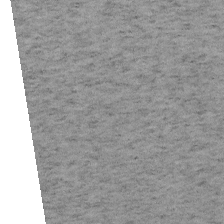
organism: Mouse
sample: OT-I killer T cells with ID8 ovarian cancer cells